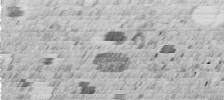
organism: C. elegans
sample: C. elegans embryo early stage